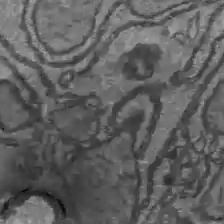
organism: C57BL Mouse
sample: Liver